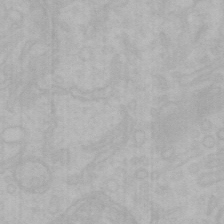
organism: Mouse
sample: Choroid plexus